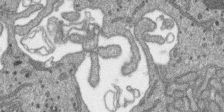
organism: Human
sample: Lung epithelial cells infected with SARS-CoV-2